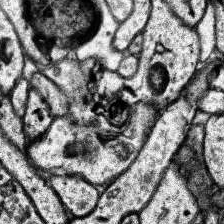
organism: Human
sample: Temporal Lobe